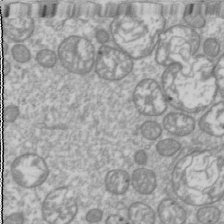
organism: Drosophila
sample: Cell division; meiosis; drosophila spermatocytes